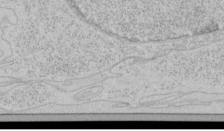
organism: Human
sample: Mitochondria in HCT116 cells